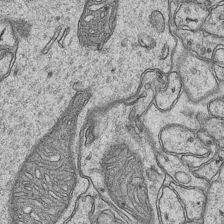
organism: Mouse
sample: CA1 Hippocampus